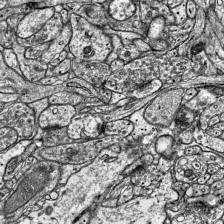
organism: Mouse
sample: Visual Cortex